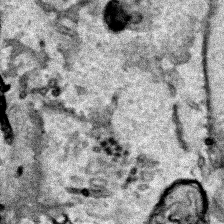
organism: Human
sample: Mitochondria in HCT116 cells